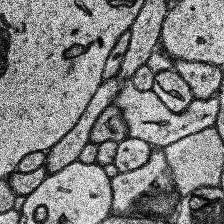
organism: Human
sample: Temporal Lobe